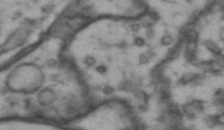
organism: Drosophila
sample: Brain